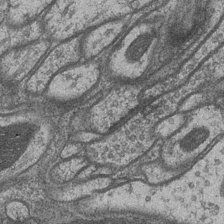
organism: Drosophila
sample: Optic medulla